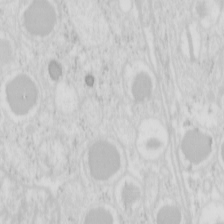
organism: Mouse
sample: Pancreas